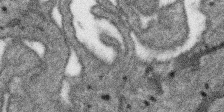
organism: Human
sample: Lung epithelial cells infected with SARS-CoV-2